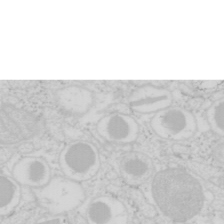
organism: Mouse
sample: Pancreas